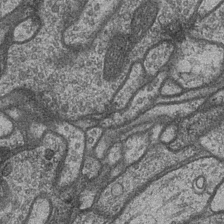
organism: Drosophila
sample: Optic medulla